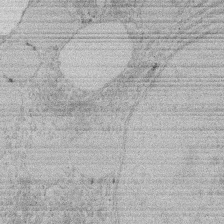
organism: Rat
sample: Salivary granule